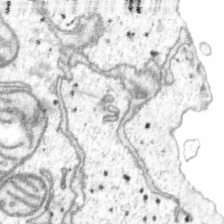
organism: Human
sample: HeLa cells